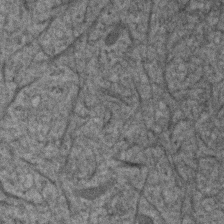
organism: Human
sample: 1205lu cells